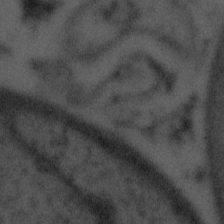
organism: Tuwongella immobilis